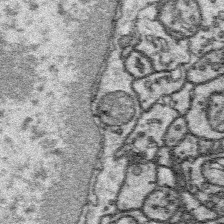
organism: Platynereis dumerilii